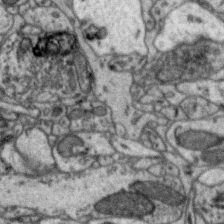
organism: Zebra finch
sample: Brain